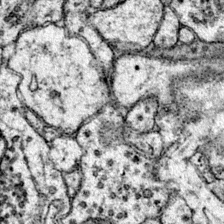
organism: Mouse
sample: Primary visual cortex